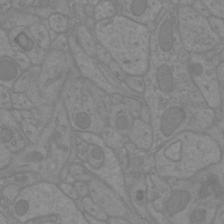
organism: Mouse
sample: Cortical neurons